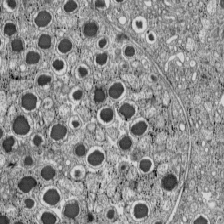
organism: C57BL Mouse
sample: Pancreatic islet